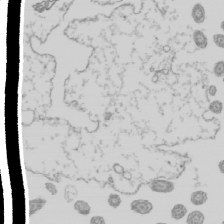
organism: Mouse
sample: Cilia; mouse epididymis